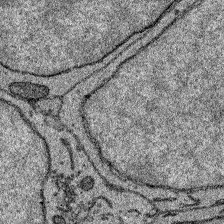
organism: Zebrafish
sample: Larval olfactory bulb